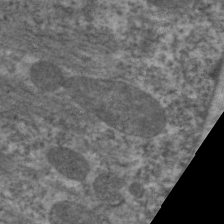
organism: C. elegans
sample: Pharynx